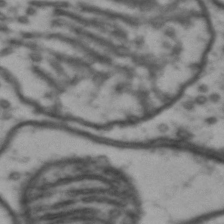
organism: Drosophila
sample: Brain